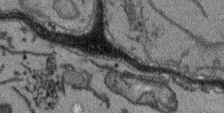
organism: Arabidopsis thaliana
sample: Root tip